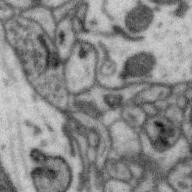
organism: Zebra finch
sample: Brain